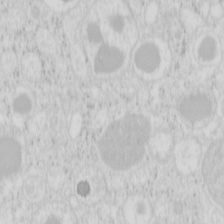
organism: Mouse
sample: Pancreas